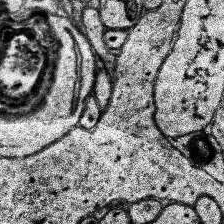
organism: Human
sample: Temporal Lobe